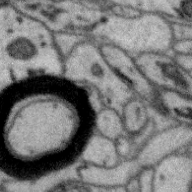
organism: Zebra finch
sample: Brain